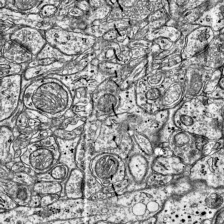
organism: Mouse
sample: Visual Cortex